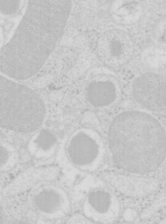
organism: Mouse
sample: Pancreas